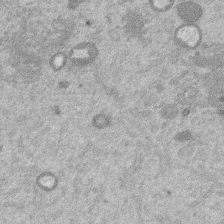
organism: Mouse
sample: Dividing mouse embryo 1 cell stage